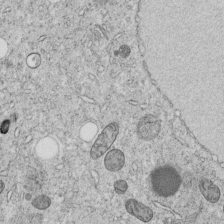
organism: C. elegans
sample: C. elegans embryo early stage